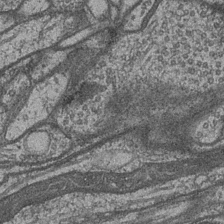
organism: Drosophila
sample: Optic medulla